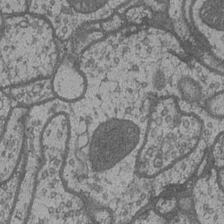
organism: Drosophila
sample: Optic medulla